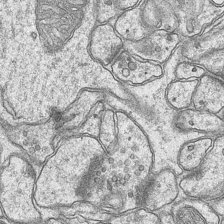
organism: Mouse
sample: CA1 Hippocampus